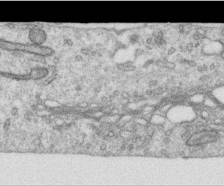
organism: Human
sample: Centriole in RPE cells